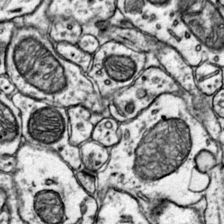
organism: Mouse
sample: Primary visual cortex